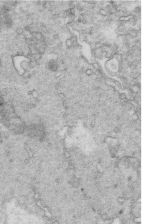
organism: Mouse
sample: Multiciliated cells